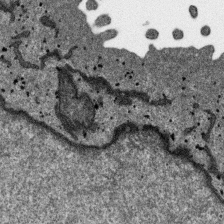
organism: Human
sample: Lung epithelial cells, uninfected (mock) control